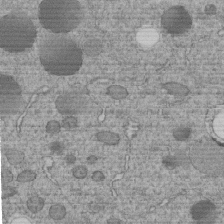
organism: C. elegans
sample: C. elegans embryo early stage